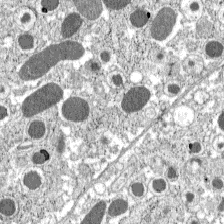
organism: C57BL Mouse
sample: Pancreatic islet